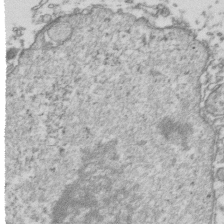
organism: Human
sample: Activated Jurkat CD4+ T cells